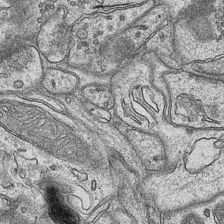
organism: Mouse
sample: CA1 Hippocampus